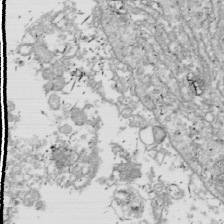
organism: Drosophila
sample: Cell division; meiosis; drosophila spermatocytes